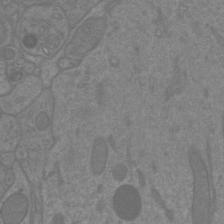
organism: Mouse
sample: Cortical neurons